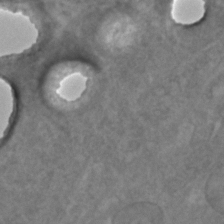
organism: C. elegans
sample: C. elegans embryo